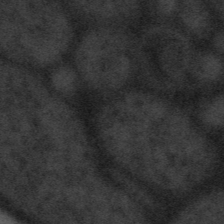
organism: Tuwongella immobilis